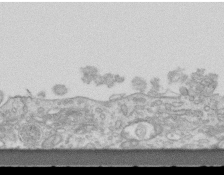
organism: Mouse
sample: Centriole in ependymal cells